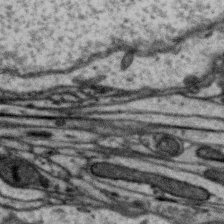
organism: Zebra finch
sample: Brain